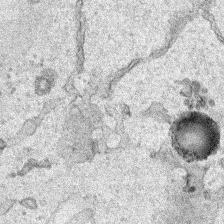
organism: Human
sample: Mitochondria in HCT116 cells